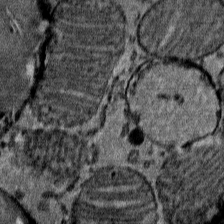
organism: Mouse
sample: Mouse Salivary gland